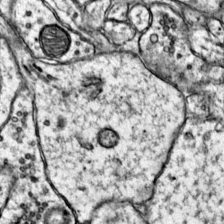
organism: Mouse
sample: Primary visual cortex